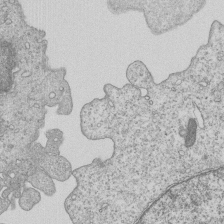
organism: Human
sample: MDA-MB-231 cells